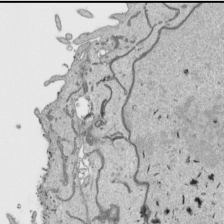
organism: Human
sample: Mitochondria in HCT116 cells